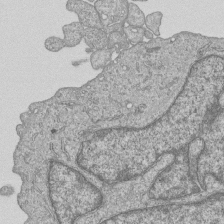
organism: Human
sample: MDA-MB-231 cells